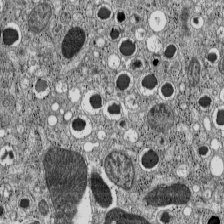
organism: C57BL Mouse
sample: Pancreatic islet